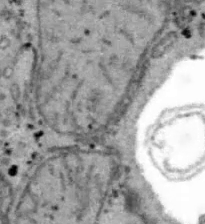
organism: Mouse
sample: Liver from an obese (ob/ob) mouse